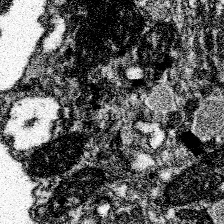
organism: Spongilla lacustris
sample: Neuroid cell